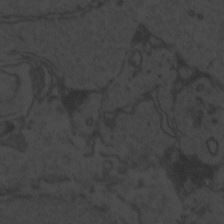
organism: Zebrafish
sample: Macrophage infected with Toxoplasma gondii